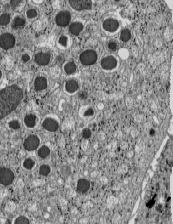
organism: C57BL Mouse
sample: Pancreatic islet